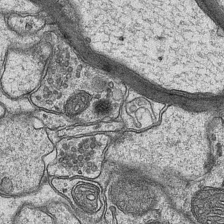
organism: Mouse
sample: CA1 Hippocampus